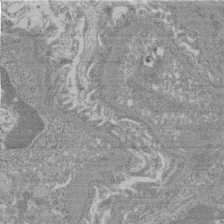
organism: Mouse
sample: Glomerulus